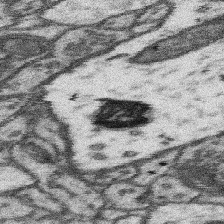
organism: Mouse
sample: Somatosensory cortex neuropil